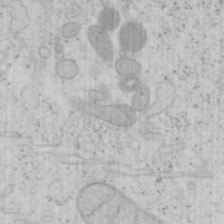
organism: Human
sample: HeLa cells